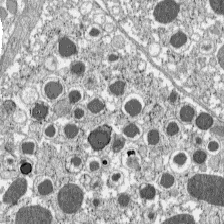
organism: C57BL Mouse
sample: Pancreatic islet